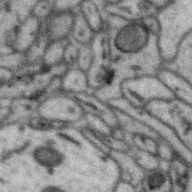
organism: Zebra finch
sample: Brain